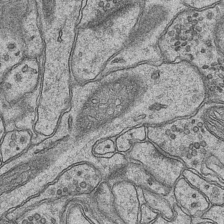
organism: Mouse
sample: CA1 Hippocampus